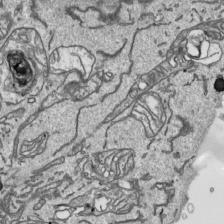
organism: Human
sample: Mitochondria in HCT116 cells